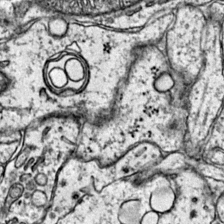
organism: Mouse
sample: Primary visual cortex